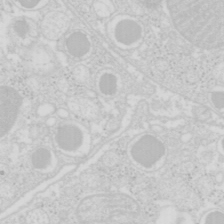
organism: Mouse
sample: Pancreas